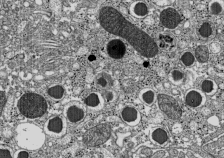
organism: C57BL Mouse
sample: Pancreatic islet